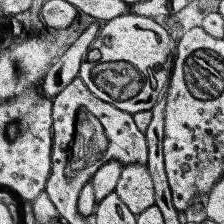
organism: Human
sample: Temporal Lobe